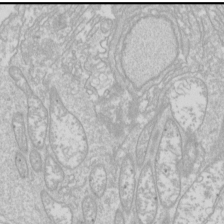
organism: Drosophila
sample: Cell division; meiosis; drosophila spermatocytes